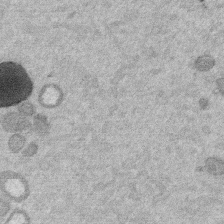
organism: Mouse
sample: Dividing mouse embryo 1 cell stage